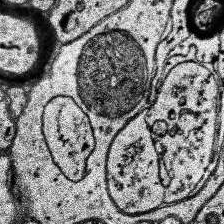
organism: Human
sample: Temporal Lobe